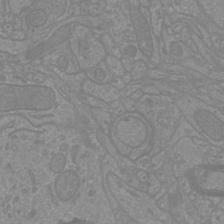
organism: Mouse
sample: Cortical neurons